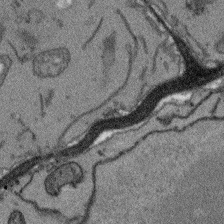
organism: Arabidopsis thaliana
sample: Root tip